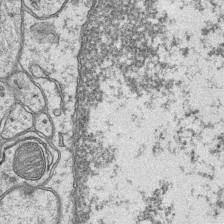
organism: Mouse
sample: CA1 Hippocampus